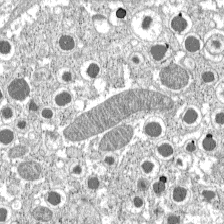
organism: C57BL Mouse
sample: Pancreatic islet